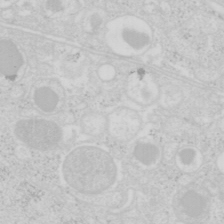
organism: Mouse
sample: Pancreas